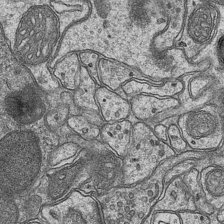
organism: Mouse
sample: CA1 Hippocampus